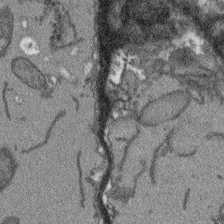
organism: Arabidopsis thaliana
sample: Root tip